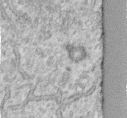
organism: Human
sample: Centriole in fibroblast cells